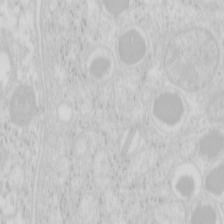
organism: Mouse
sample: Pancreas